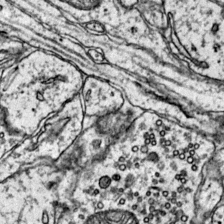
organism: Mouse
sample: Primary visual cortex